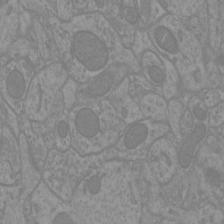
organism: Mouse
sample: Cortical neurons